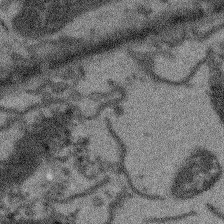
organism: Arabidopsis thaliana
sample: Root tip